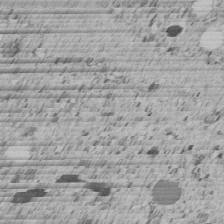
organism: C. elegans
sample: C. elegans embryo early stage